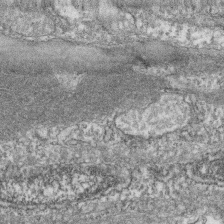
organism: Zebrafish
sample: Cilia; retinal pigment epithelium